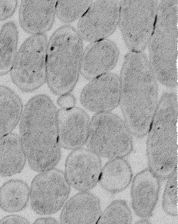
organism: E. coli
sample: Bacterial nucleoid